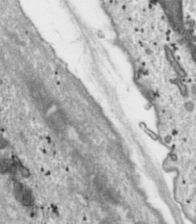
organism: Toxoplasma gondii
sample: Parasites in a vacuole inside a host cell